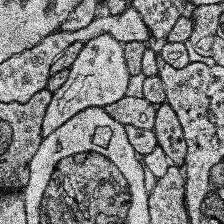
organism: Human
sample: Temporal Lobe